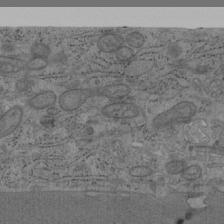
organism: Human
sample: HeLa cells